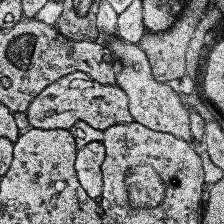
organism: Human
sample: Temporal Lobe